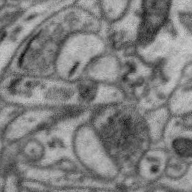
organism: Zebra finch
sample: Brain